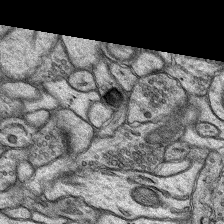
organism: Rat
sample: Hippocampus